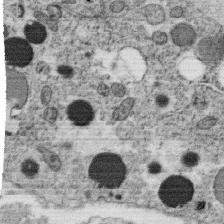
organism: C. elegans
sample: C. elegans oocyte; sperm cells